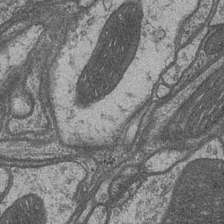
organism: Drosophila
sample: Optic medulla